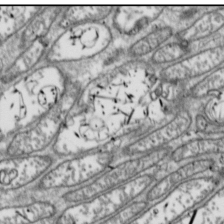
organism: Drosophila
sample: Cell division; meiosis; drosophila spermatocytes